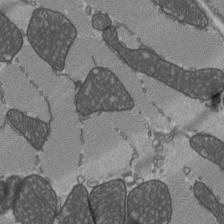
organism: C57BL Mouse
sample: Heart